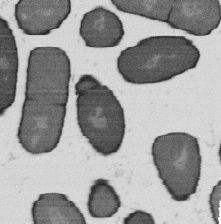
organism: B. subtilis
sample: Bacterial spore